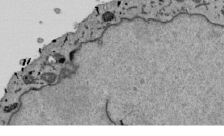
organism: Mouse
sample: ED-1 cell nuclei; centrioles